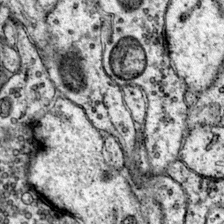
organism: Mouse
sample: Primary visual cortex